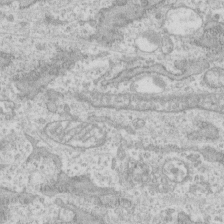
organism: Human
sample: CRL-1474